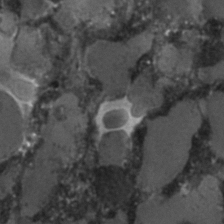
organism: C. elegans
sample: C. elegans embryo